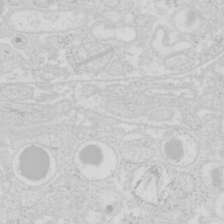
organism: Mouse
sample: Pancreas